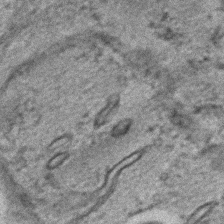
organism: C. elegans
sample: C. elegans embryo